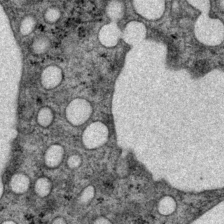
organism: P. pacificus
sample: Pharynx